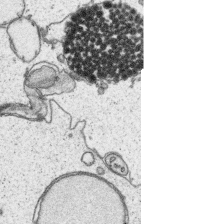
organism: Platynereis dumerilii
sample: Parapodia